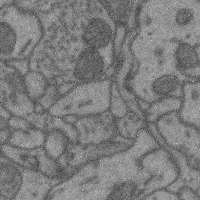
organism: Mouse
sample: Cerebral cortex